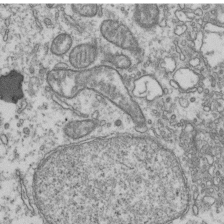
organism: Human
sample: Activated Jurkat CD4+ T cells